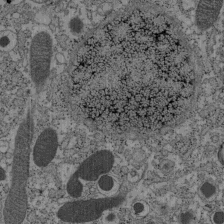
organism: C57BL Mouse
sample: Pancreatic islet